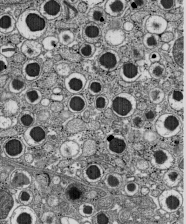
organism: C57BL Mouse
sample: Pancreatic islet